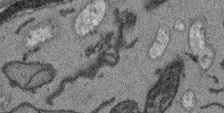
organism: Arabidopsis thaliana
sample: Root tip